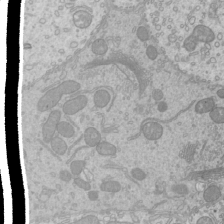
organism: Mouse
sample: Cilia; mouse epididymis